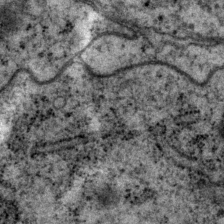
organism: P. pacificus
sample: Pharynx